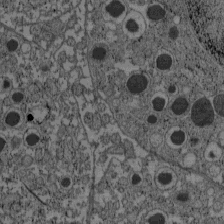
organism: C57BL Mouse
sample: Pancreatic islet